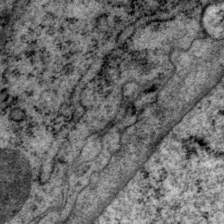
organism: P. pacificus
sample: Pharynx